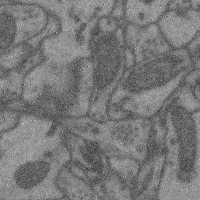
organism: Mouse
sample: Cerebral cortex